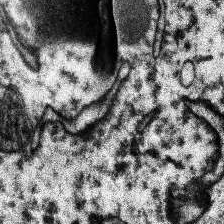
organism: Human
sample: Temporal Lobe